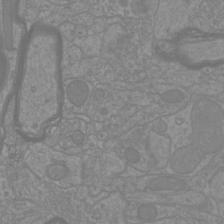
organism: Mouse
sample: Cortical neurons